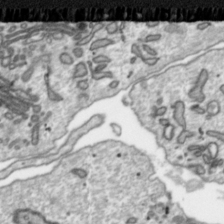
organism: Toxoplasma gondii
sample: Parasites in a vacuole inside a host cell